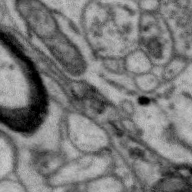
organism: Zebra finch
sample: Brain